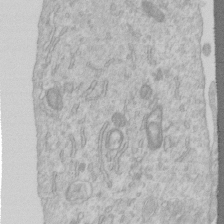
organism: Human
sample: Centriole in RPE cells